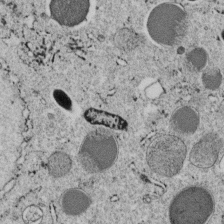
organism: C. elegans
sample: C. elegans embryo early stage